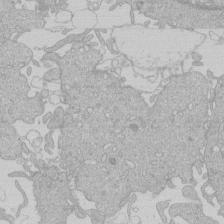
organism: Human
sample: Macrophage cells